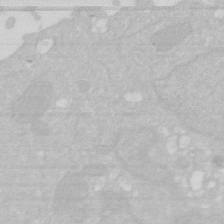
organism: Human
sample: HIV infected U937 cells